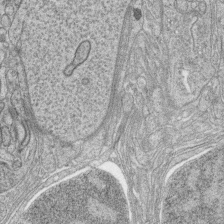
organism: Zebrafish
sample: synaptic ribbons in rod cells and cone cells